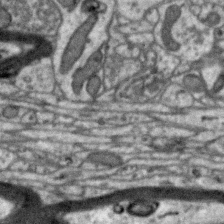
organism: Zebra finch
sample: Brain